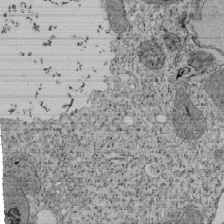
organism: Tetrahymena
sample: Cilia in tetrahymena